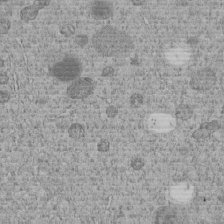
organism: C. elegans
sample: C. elegans embryo early stage